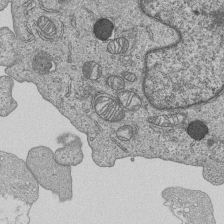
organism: Human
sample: MDA-MB-231 cells